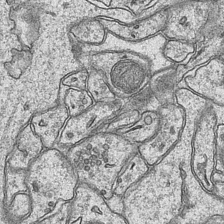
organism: Mouse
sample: CA1 Hippocampus